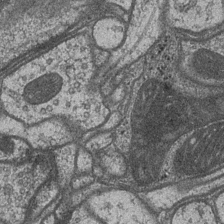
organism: Drosophila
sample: Optic medulla